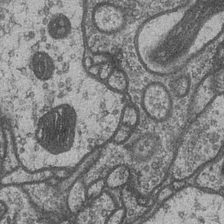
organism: Drosophila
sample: Optic medulla